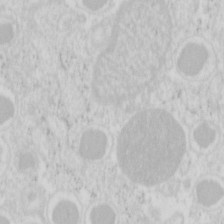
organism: Mouse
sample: Pancreas